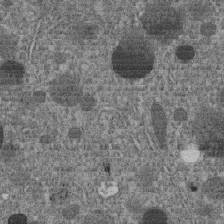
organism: C. elegans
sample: C. elegans embryo early stage